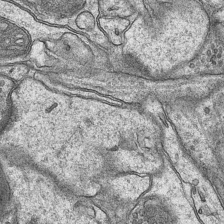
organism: Mouse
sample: CA1 Hippocampus